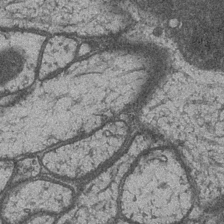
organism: Drosophila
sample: Optic medulla